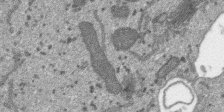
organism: Human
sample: Lung epithelial cells infected with SARS-CoV-2